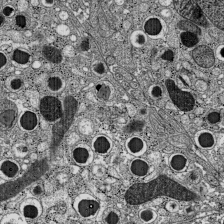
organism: C57BL Mouse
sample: Pancreatic islet